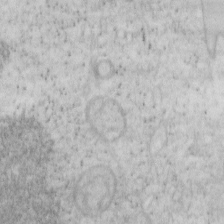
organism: Human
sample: HeLa cells